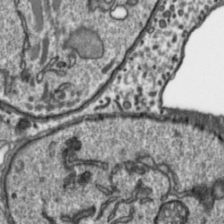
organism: Toxoplasma gondii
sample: Parasites in a vacuole inside a host cell